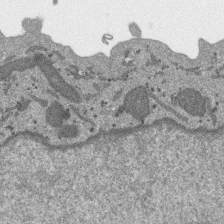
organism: Human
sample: Lung epithelial cells infected with SARS-CoV-2